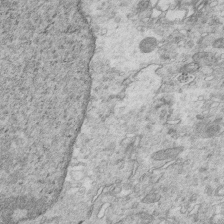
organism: Mouse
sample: Multiciliated cells